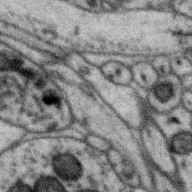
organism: Zebra finch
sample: Brain